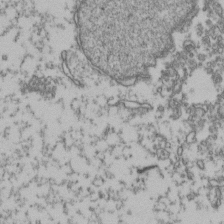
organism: Human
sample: Activated Jurkat CD4+ T cells